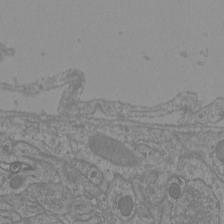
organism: Mouse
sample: Cortical neurons